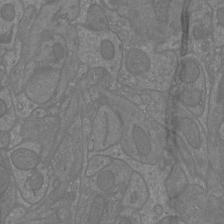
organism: Mouse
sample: Cortical neurons